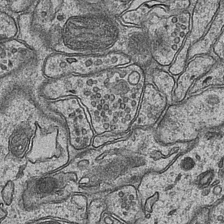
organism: Mouse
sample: CA1 Hippocampus